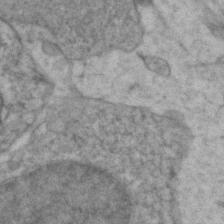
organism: Zebrafish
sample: Zebrafish embryo